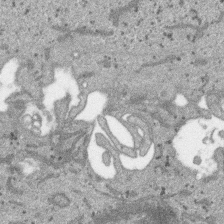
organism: Human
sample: Lung epithelial cells infected with SARS-CoV-2